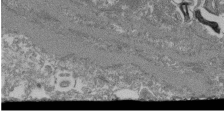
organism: Mouse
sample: Glomerulus